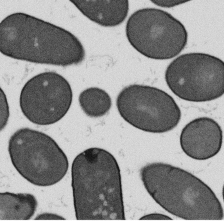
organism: B. subtilis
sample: Bacterial spore